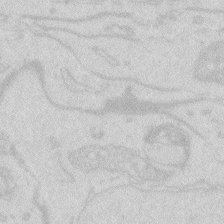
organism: Zebrafish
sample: Macrophage